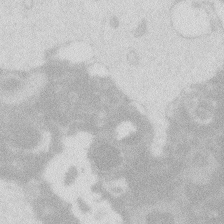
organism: Zebrafish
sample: Macrophage